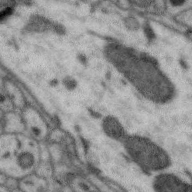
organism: Zebra finch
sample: Brain